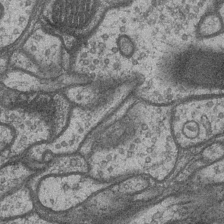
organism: Drosophila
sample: Optic medulla